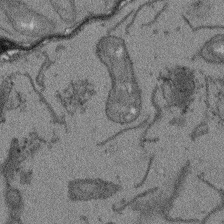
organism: Arabidopsis thaliana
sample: Root tip